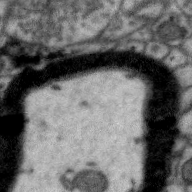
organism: Zebra finch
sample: Brain